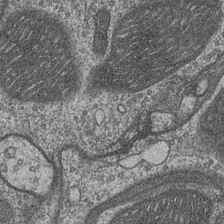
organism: Drosophila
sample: Optic medulla